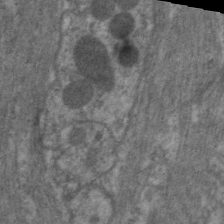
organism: C. elegans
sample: Pharynx